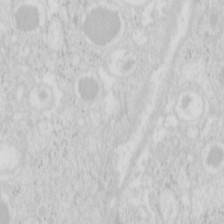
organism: Mouse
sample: Pancreas